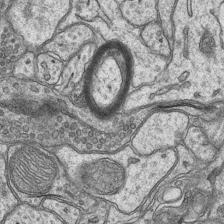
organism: Mouse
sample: CA1 Hippocampus